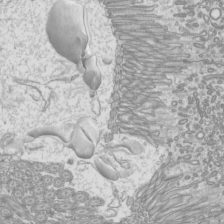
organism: Mouse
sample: Cilia; mouse epididymis